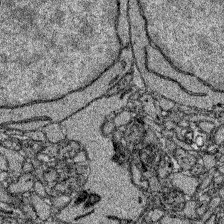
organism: Zebrafish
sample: Larval olfactory bulb